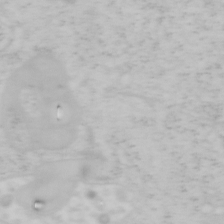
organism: Mouse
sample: OT-I killer T cells with ID8 ovarian cancer cells